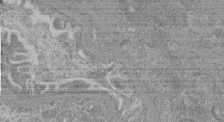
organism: Mouse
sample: Glomerulus